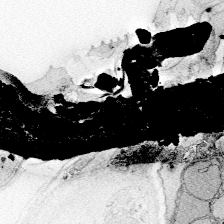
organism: Zebrafish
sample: Whole-Brain